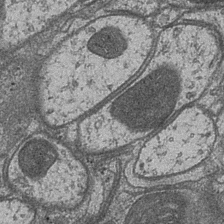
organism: Drosophila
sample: Optic medulla